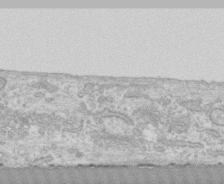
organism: Human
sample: CRL-1474